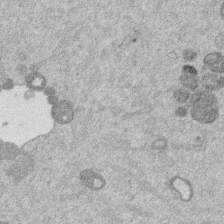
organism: Mouse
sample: Dividing mouse embryo 1 cell stage